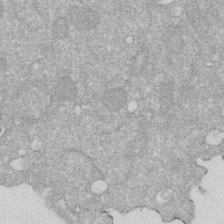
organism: Human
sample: HIV infected U937 cells